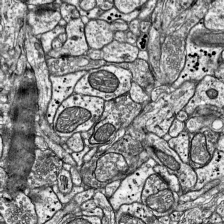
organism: Mouse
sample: Visual Cortex